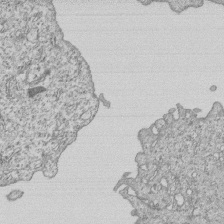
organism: Human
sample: MDA-MB-231 cells